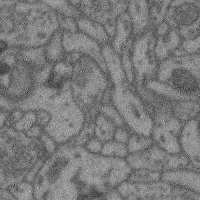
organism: Mouse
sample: Cerebral cortex